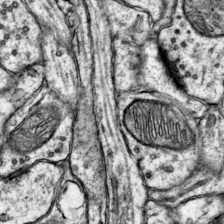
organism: Mouse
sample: Primary visual cortex